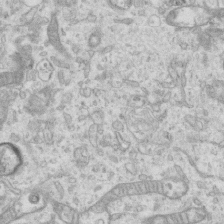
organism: Mouse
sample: Centriole in ependymal cells